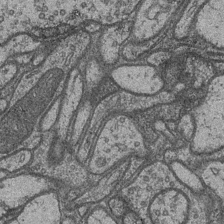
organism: Drosophila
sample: Optic medulla